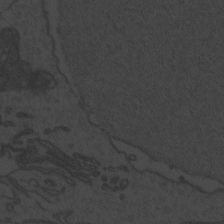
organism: Zebrafish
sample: Macrophage infected with Toxoplasma gondii